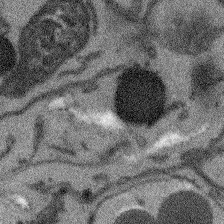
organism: Arabidopsis thaliana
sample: Root tip